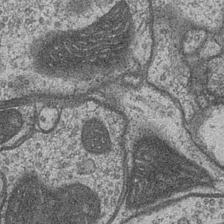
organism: Drosophila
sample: Optic medulla